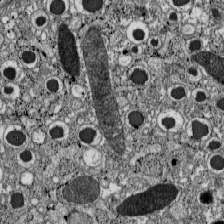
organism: C57BL Mouse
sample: Pancreatic islet